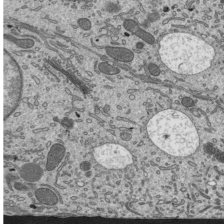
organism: Mouse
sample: Mouse epididymis efferent ductule cilia